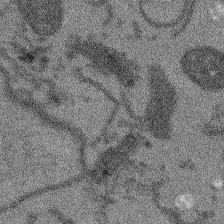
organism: Arabidopsis thaliana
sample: Root tip